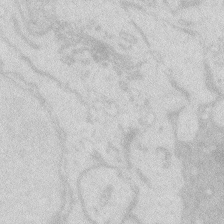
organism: Zebrafish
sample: Macrophage